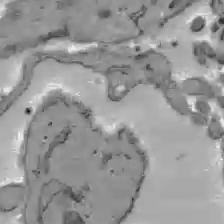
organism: C57BL Mouse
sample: Liver